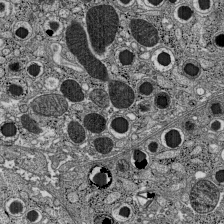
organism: C57BL Mouse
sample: Pancreatic islet